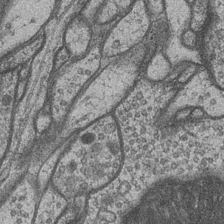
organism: Drosophila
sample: Optic medulla